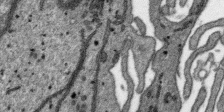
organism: Human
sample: Lung epithelial cells, uninfected (mock) control